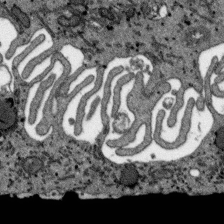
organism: Human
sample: Lung epithelial cells, uninfected (mock) control